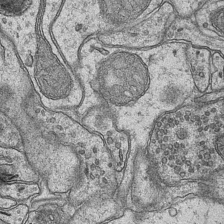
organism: Mouse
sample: CA1 Hippocampus